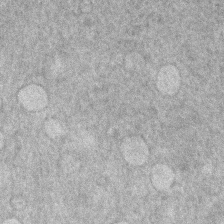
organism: Human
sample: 1205lu cells